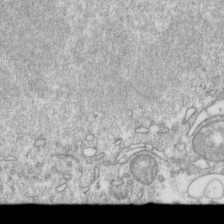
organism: Mouse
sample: Activated OT-1 CD8+ T cells